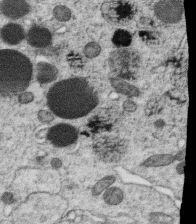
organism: C. elegans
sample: C. elegans oocyte; sperm cells